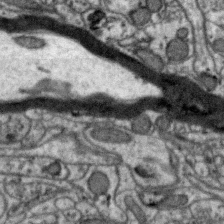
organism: Zebra finch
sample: Brain